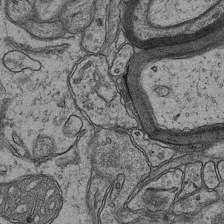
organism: Mouse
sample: CA1 Hippocampus